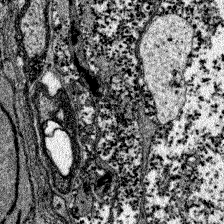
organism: Zebrafish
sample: Larval olfactory bulb